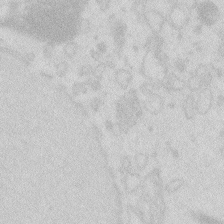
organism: Zebrafish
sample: Macrophage